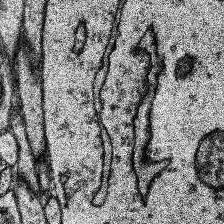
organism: Human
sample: Temporal Lobe